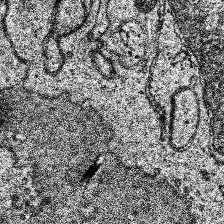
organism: Human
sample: Temporal Lobe